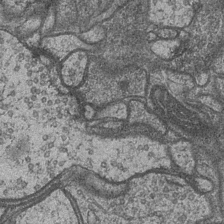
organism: Drosophila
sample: Optic medulla